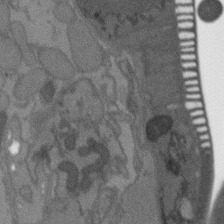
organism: C. elegans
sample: AFD neurons C. elegans